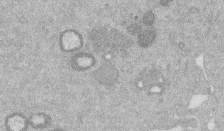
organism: Mouse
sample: Dividing mouse embryo 1 cell stage